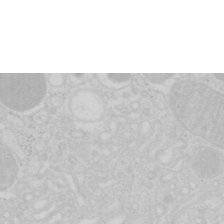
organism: Mouse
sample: Pancreas